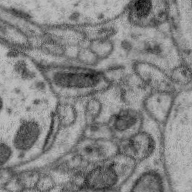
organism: Zebra finch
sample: Brain